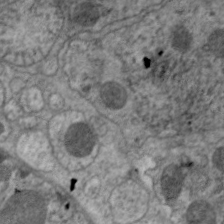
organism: C. elegans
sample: Pharynx